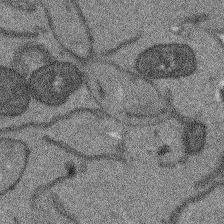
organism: Arabidopsis thaliana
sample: Root tip